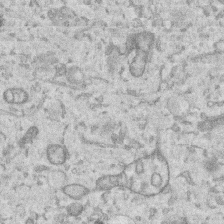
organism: Human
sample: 1205lu cells